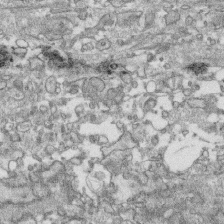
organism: Human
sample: CRL-1474